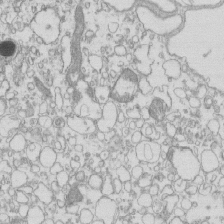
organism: Mouse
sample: Macrophages